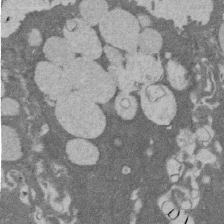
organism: Rat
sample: Salivary granule